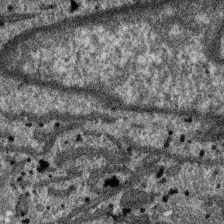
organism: Human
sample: Lung epithelial cells infected with SARS-CoV-2